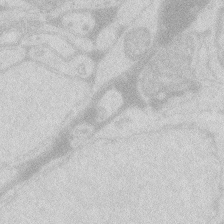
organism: Zebrafish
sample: Macrophage